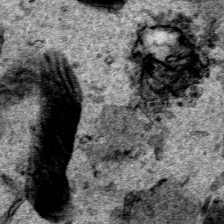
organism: Human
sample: Mitochondria in HCT116 cells